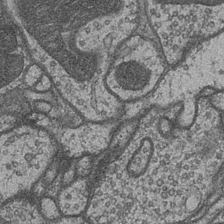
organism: Drosophila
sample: Optic medulla